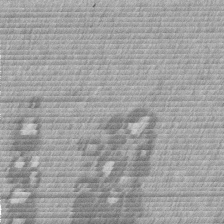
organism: Mouse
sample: Dividing mouse embryo 1 cell stage